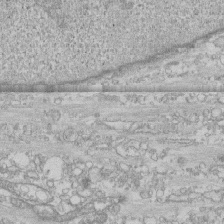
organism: Human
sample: CRL-1474